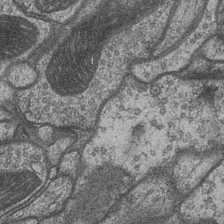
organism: Drosophila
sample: Optic medulla